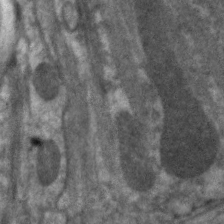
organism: C. elegans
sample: Pharynx